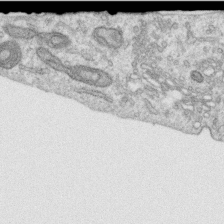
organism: Human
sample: Centriole in RPE cells